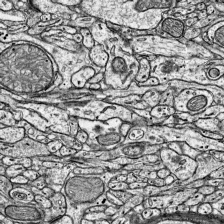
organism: Mouse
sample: Visual Cortex